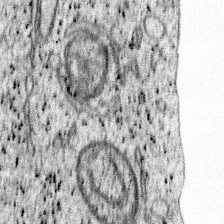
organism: Human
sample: HeLa cells